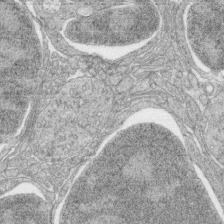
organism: Zebrafish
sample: synaptic ribbons in rod cells and cone cells